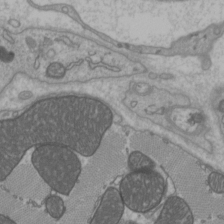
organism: C57BL Mouse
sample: Heart